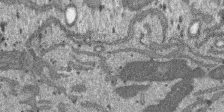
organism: Human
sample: Lung epithelial cells infected with SARS-CoV-2